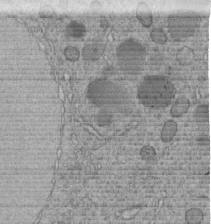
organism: C. elegans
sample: C. elegans embryo early stage